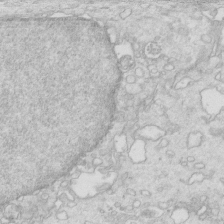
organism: Mouse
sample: Multiciliated cells